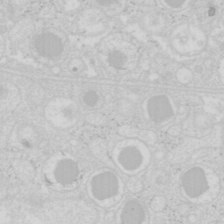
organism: Mouse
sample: Pancreas